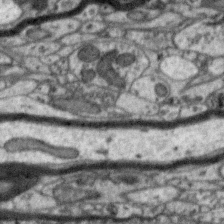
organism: Zebra finch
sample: Brain